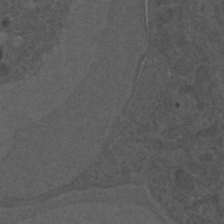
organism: C. elegans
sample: C. elegans embryo